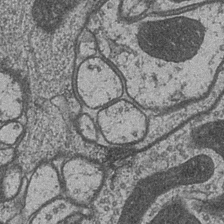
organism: Drosophila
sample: Optic medulla